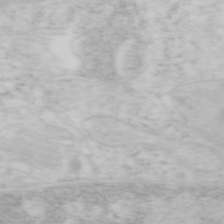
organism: Mouse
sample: OT-I killer T cells with ID8 ovarian cancer cells